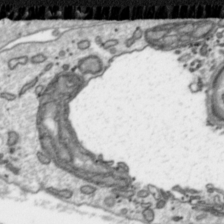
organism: Toxoplasma gondii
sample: Parasites in a vacuole inside a host cell